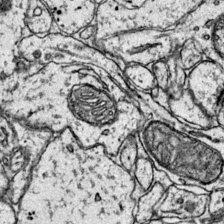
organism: Mouse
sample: Primary visual cortex